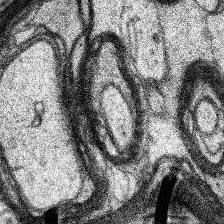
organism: Human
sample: Temporal Lobe